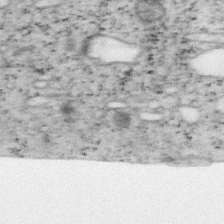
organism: Mouse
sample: OT-I killer T cells with ID8 ovarian cancer cells